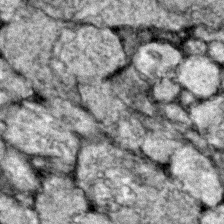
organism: Zebrafish